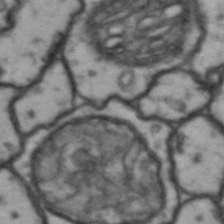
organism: Drosophila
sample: Brain